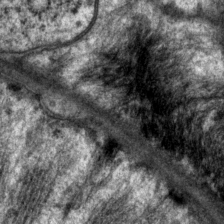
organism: P. pacificus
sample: Pharynx